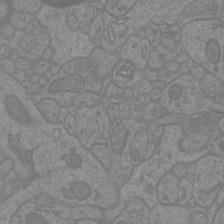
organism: Mouse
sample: Cortical neurons